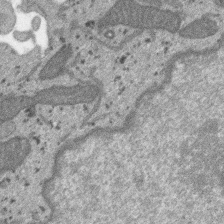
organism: Human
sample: Lung epithelial cells infected with SARS-CoV-2